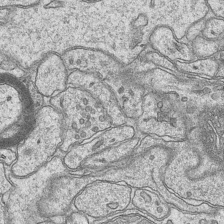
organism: Mouse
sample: CA1 Hippocampus